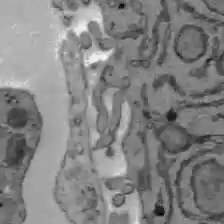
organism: C57BL Mouse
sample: Liver